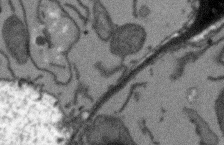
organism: Arabidopsis thaliana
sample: Root tip